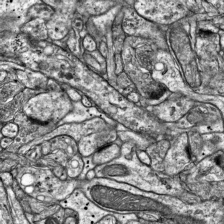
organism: Mouse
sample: Visual Cortex